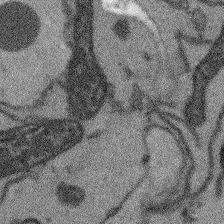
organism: Arabidopsis thaliana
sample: Root tip